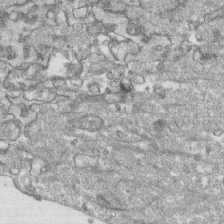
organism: Human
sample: CRL-1474